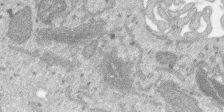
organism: Human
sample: Lung epithelial cells infected with SARS-CoV-2